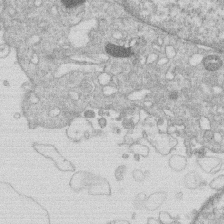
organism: Human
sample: Macrophage cells